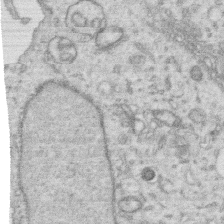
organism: Human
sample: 1205lu cells